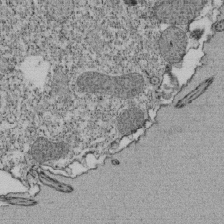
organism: Tetrahymena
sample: Cilia in tetrahymena